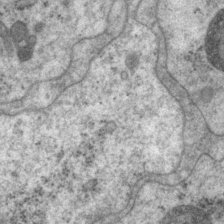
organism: P. pacificus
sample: Pharynx